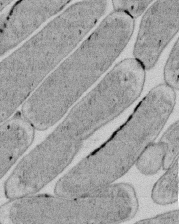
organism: E. coli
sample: Bacterial nucleoid